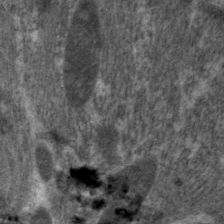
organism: C. elegans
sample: Pharynx